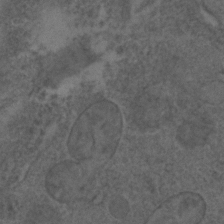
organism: C. elegans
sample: C. elegans embryo